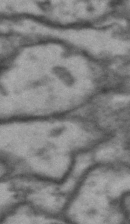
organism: Drosophila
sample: Brain